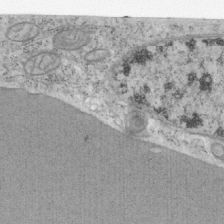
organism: Human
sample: HeLa cells